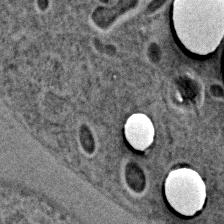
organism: C. elegans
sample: C. elegans embryo